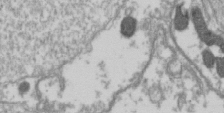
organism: Drosophila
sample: Cell division; meiosis; drosophila spermatocytes